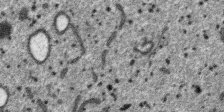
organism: Human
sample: Lung epithelial cells infected with SARS-CoV-2